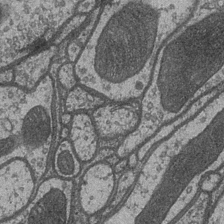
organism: Drosophila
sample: Optic medulla